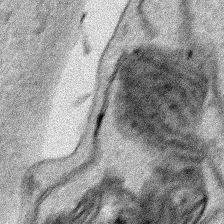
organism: Human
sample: Mitochondria in HCT116 cells